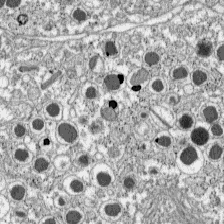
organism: C57BL Mouse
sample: Pancreatic islet